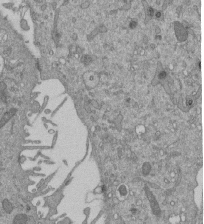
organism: Mouse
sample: ED-1 cell nuclei; centrioles